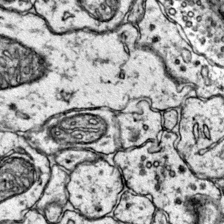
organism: Mouse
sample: Primary visual cortex